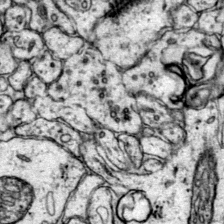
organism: Mouse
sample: Primary visual cortex